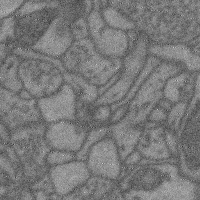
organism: Mouse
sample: Cerebral cortex